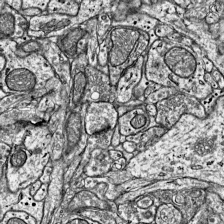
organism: Mouse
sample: Visual Cortex